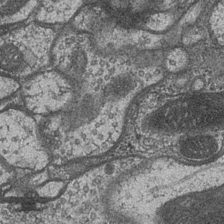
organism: Drosophila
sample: Optic medulla